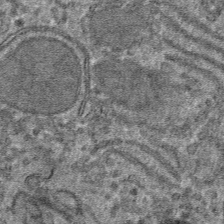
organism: Mouse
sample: Mouse hepatocytes